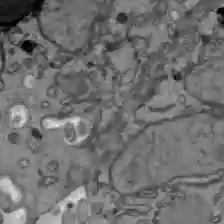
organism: C57BL Mouse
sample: Liver